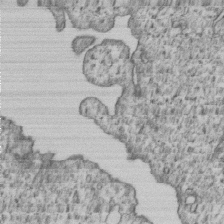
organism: Human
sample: MDA-MB-231 cells